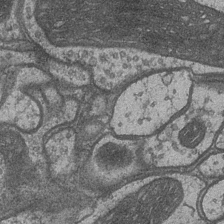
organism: Drosophila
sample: Optic medulla